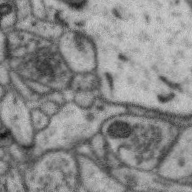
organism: Zebra finch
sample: Brain